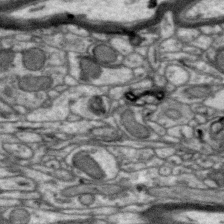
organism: Zebra finch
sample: Brain